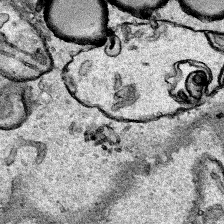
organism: Human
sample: Mitochondria in HCT116 cells